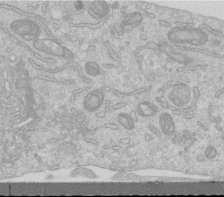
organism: Human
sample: Centriole in RPE cells